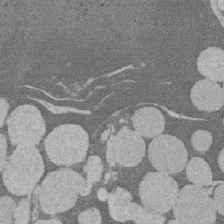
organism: Rat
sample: Salivary granule